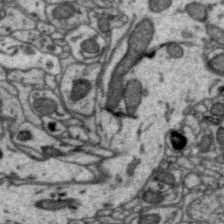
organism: Zebra finch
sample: Brain